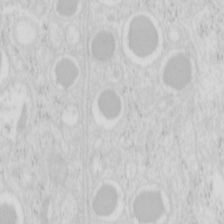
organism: Mouse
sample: Pancreas